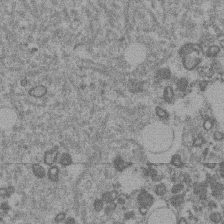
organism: Mouse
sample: Dividing mouse embryo 1 cell stage